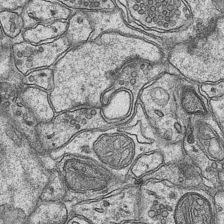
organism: Mouse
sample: CA1 Hippocampus